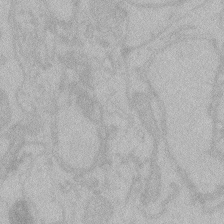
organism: Zebrafish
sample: Macrophage infected with Toxoplasma gondii